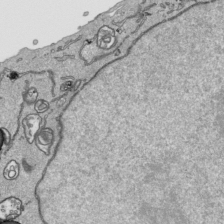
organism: Human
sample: Mitochondria in HCT116 cells